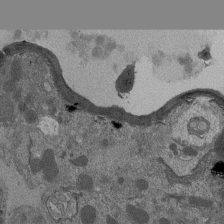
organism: Drosophila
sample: Antenna